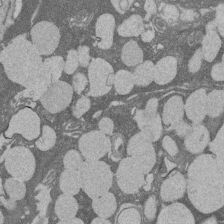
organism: Rat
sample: Salivary granule